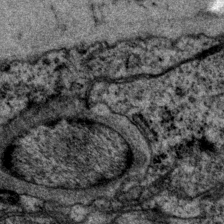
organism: P. pacificus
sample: Pharynx